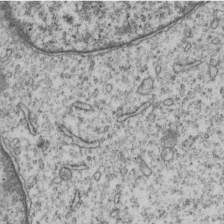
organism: Human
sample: MDA-MB-231 cells